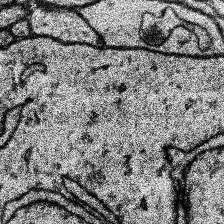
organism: Human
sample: Temporal Lobe